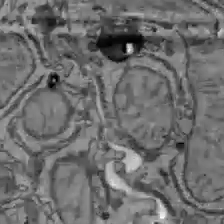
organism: C57BL Mouse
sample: Liver